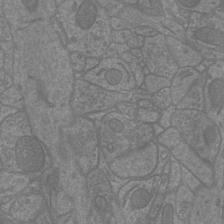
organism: Mouse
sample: Cortical neurons